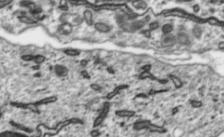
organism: Toxoplasma gondii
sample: Parasites in a vacuole inside a host cell